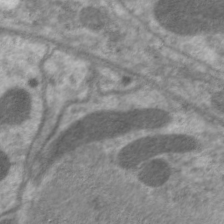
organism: C. elegans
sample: Pharynx